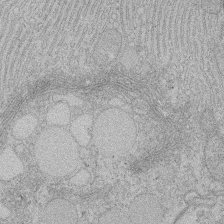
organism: Rat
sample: Salivary granule